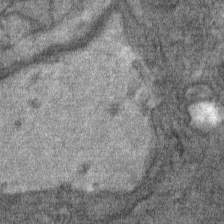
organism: Mouse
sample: Mouse Salivary gland